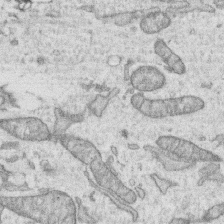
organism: Human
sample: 1205lu cells